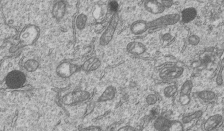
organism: Human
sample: MDA-MB-231 cells